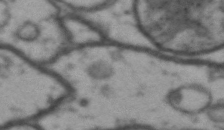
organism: Drosophila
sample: Brain